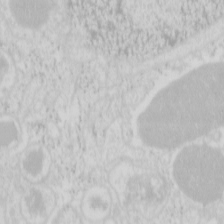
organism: Mouse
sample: Pancreas